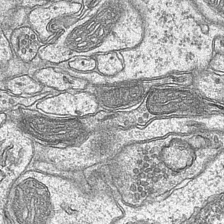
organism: Mouse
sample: CA1 Hippocampus